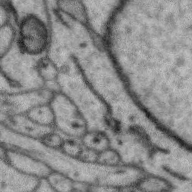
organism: Zebra finch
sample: Brain